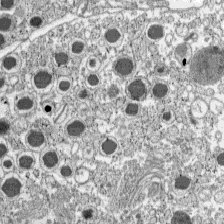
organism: C57BL Mouse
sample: Pancreatic islet